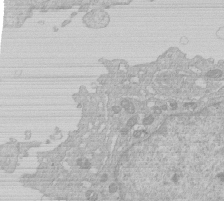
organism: Human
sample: Macrophage cells